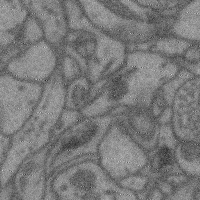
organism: Mouse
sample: Cerebral cortex